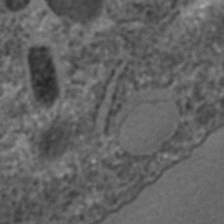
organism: C. elegans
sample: C. elegans embryo